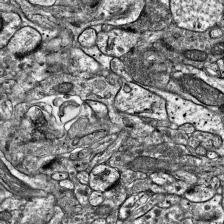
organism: Mouse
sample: Visual Cortex